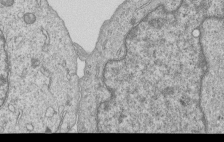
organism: Human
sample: MDA-MB-231 cells